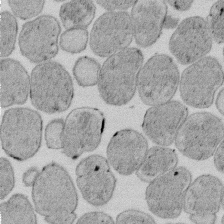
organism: E. coli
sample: Bacterial nucleoid